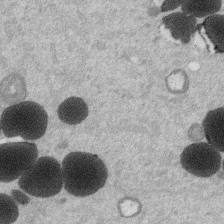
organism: Mouse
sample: Dividing mouse embryo 1 cell stage